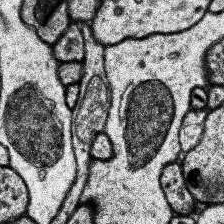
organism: Human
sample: Temporal Lobe